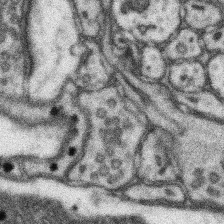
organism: Mouse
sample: Somatosensory cortex neuropil